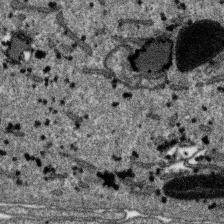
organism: Human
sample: Lung epithelial cells infected with SARS-CoV-2